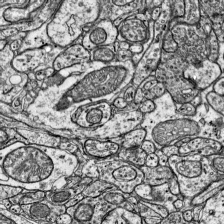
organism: Mouse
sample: Visual Cortex